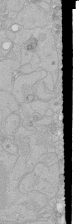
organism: Human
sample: Caco-2 cells